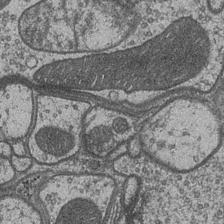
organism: Drosophila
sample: Optic medulla